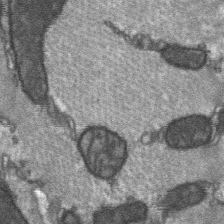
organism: C57BL Mouse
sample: Soleus